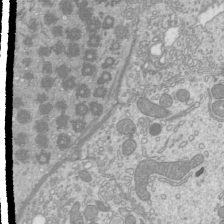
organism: Mouse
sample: Cilia; mouse epididymis